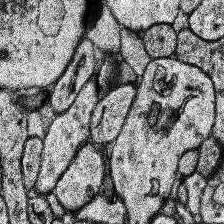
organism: Human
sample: Temporal Lobe